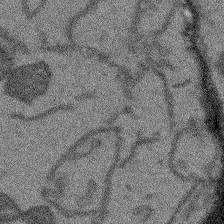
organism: Arabidopsis thaliana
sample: Root tip